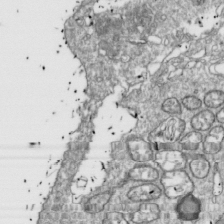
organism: Drosophila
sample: Cell division; meiosis; drosophila spermatocytes